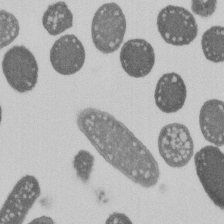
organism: E. coli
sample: Bacterial nucleoid